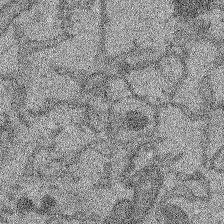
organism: Human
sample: HeLa cells